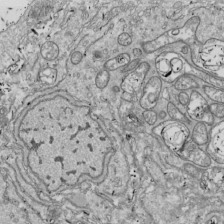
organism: Drosophila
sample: Cell division; meiosis; drosophila spermatocytes